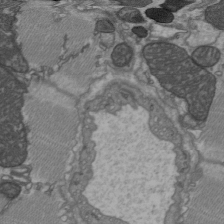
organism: C57BL Mouse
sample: Heart